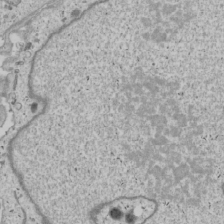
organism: Human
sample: Mitochondria in U2OS cells